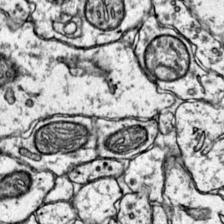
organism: Mouse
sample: Primary visual cortex